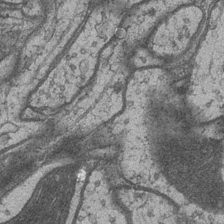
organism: Drosophila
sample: Optic medulla